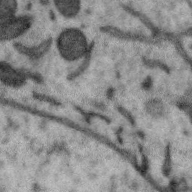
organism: Zebra finch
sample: Brain